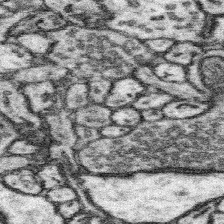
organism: Mouse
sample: Somatosensory cortex neuropil